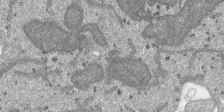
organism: Human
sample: Lung epithelial cells infected with SARS-CoV-2